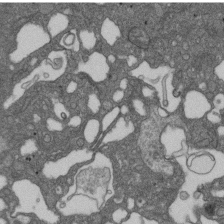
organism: Drosophila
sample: Nephrocyte